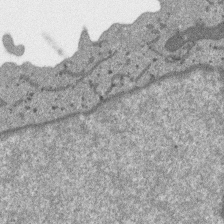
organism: Human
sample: Lung epithelial cells infected with SARS-CoV-2